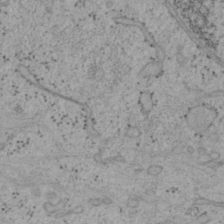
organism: Human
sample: HeLa cells